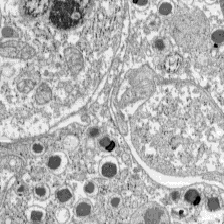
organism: C57BL Mouse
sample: Pancreatic islet